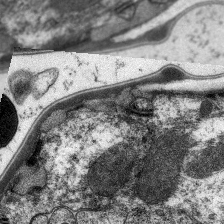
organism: C. elegans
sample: Pharynx